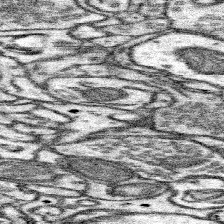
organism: Mouse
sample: Somatosensory cortex neuropil